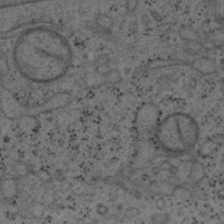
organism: Human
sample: HeLa cells